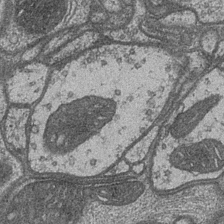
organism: Drosophila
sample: Optic medulla